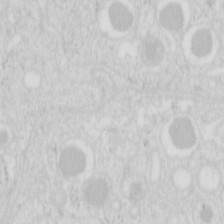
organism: Mouse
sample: Pancreas